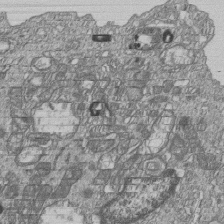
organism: Human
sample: MDA-MB-231 cells